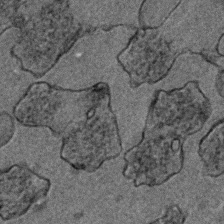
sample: Trachea